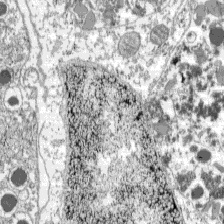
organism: C57BL Mouse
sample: Pancreatic islet